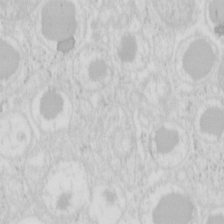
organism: Mouse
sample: Pancreas